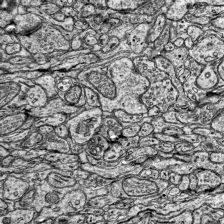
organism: Mouse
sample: Visual Cortex